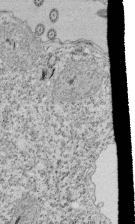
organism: Tetrahymena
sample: Cilia in tetrahymena